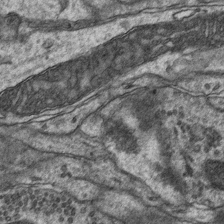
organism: Mouse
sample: CA1 Hippocampus